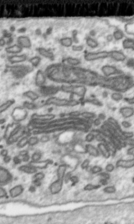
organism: Toxoplasma gondii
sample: Parasites in a vacuole inside a host cell